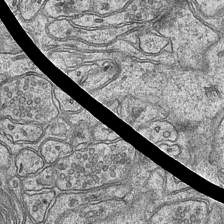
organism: Mouse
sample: CA1 Hippocampus